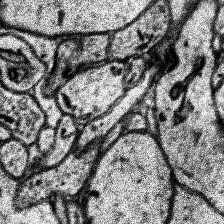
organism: Human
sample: Temporal Lobe